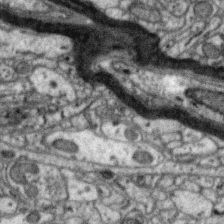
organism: Zebra finch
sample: Brain